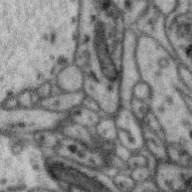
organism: Zebra finch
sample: Brain